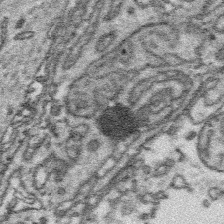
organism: Platynereis dumerilii